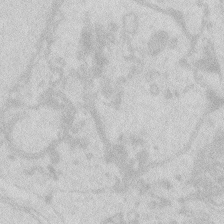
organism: Zebrafish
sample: Macrophage